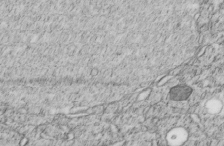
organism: C. elegans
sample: C. elegans embryo early stage